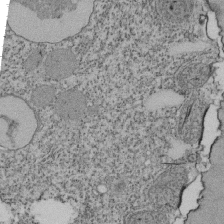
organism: Tetrahymena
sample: Cilia in tetrahymena